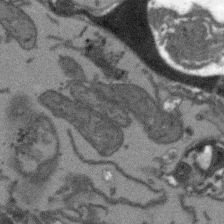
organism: Arabidopsis thaliana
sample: Root tip